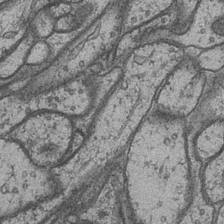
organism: Drosophila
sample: Optic medulla